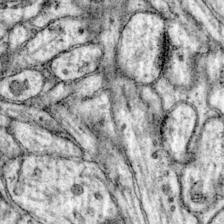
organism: Mouse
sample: Primary visual cortex